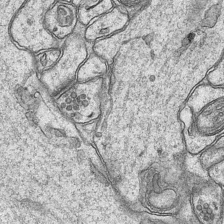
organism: Mouse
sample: CA1 Hippocampus